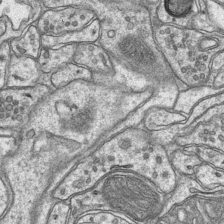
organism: Mouse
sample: CA1 Hippocampus